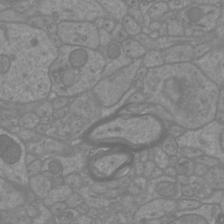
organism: Mouse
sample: Cortical neurons